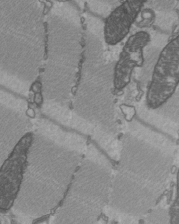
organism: C57BL Mouse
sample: Heart